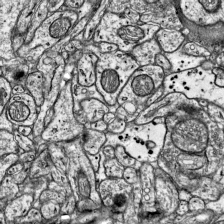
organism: Mouse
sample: Visual Cortex